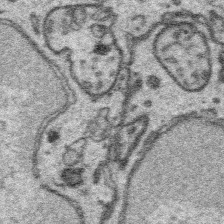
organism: Platynereis dumerilii